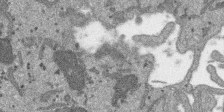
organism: Human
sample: Lung epithelial cells infected with SARS-CoV-2